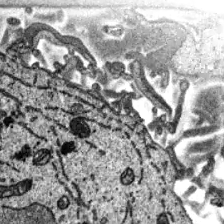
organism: Human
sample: HeLa cells